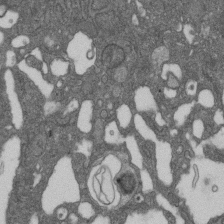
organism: Drosophila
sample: Nephrocyte